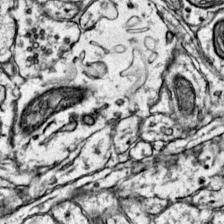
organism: Mouse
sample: Primary visual cortex